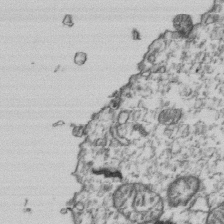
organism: Human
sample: Activated Jurkat CD4+ T cells